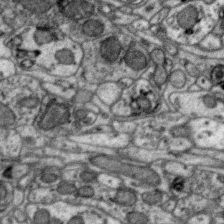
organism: Zebra finch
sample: Brain